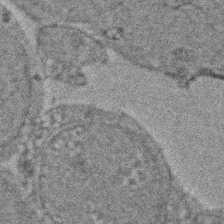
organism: Zebrafish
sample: Zebrafish embryo